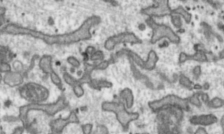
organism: Toxoplasma gondii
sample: Parasites in a vacuole inside a host cell